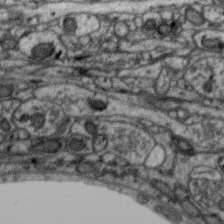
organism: Zebra finch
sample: Brain